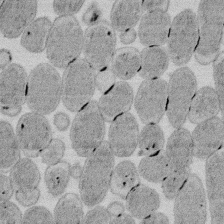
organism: E. coli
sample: Bacterial nucleoid